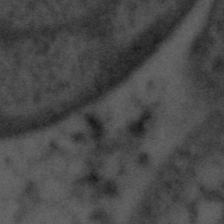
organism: Tuwongella immobilis